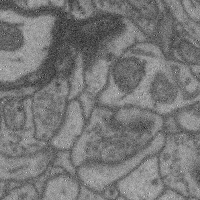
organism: Mouse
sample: Cerebral cortex